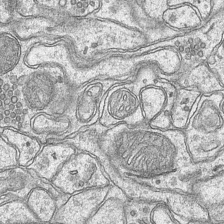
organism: Mouse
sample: CA1 Hippocampus